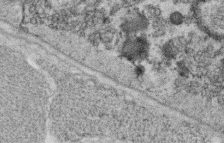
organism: C. elegans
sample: C. elegans oocyte; sperm cells